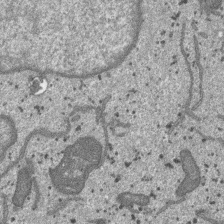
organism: Human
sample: Lung epithelial cells infected with SARS-CoV-2